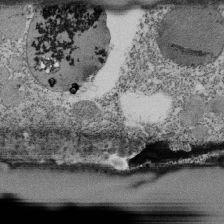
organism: Tetrahymena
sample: Cilia in tetrahymena